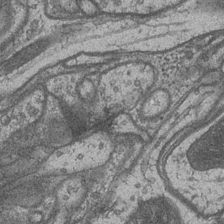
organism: Drosophila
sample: Optic medulla